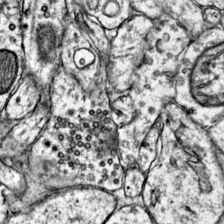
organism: Mouse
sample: Primary visual cortex